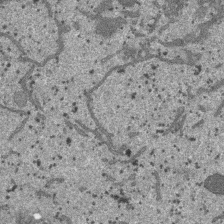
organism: Human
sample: Lung epithelial cells infected with SARS-CoV-2